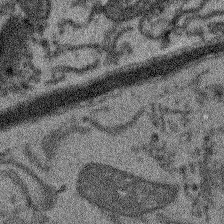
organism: Arabidopsis thaliana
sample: Root tip